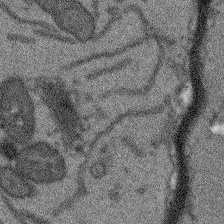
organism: Arabidopsis thaliana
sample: Root tip